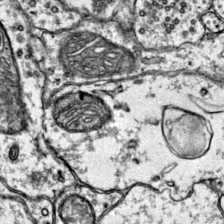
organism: Mouse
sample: Primary visual cortex